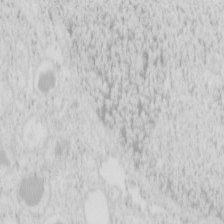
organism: Mouse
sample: Pancreas